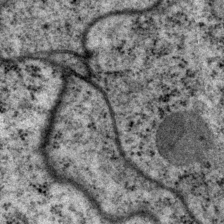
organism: P. pacificus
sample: Pharynx